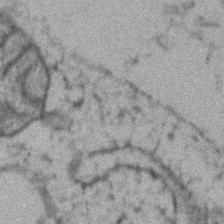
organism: Zebrafish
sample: Zebrafish embryo